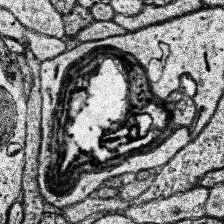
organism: Human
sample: Temporal Lobe